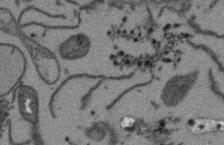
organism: Arabidopsis thaliana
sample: Root tip